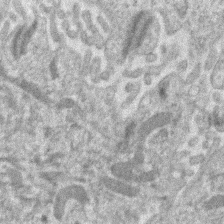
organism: Human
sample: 1205lu cells